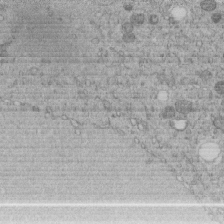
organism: C. elegans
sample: C. elegans embryo early stage